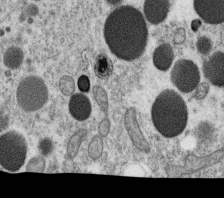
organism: C. elegans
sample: C. elegans oocyte; sperm cells